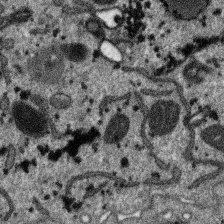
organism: Human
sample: Lung epithelial cells infected with SARS-CoV-2